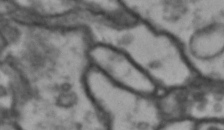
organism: Drosophila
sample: Brain